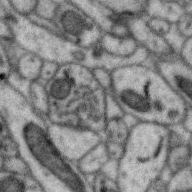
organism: Zebra finch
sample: Brain